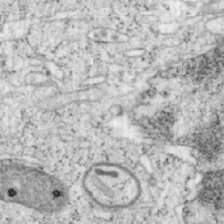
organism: Mouse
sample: OT-I killer T cells with ID8 ovarian cancer cells